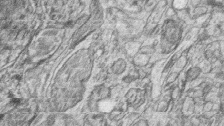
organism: Zebrafish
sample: synaptic ribbons in rod cells and cone cells